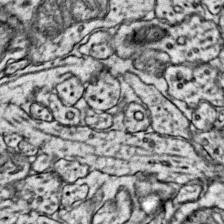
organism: Mouse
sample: Primary visual cortex